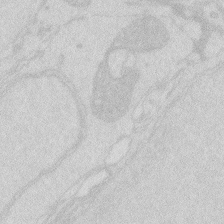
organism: Zebrafish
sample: Macrophage